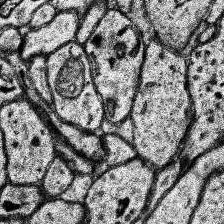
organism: Human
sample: Temporal Lobe